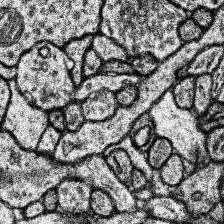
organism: Human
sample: Temporal Lobe